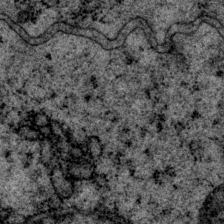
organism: P. pacificus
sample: Pharynx